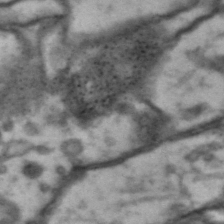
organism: Drosophila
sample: Brain